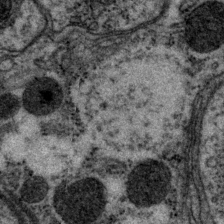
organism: P. pacificus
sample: Pharynx